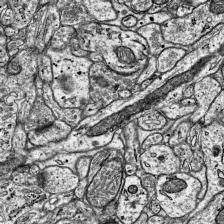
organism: Mouse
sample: Visual Cortex